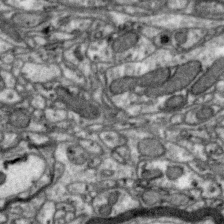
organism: Zebra finch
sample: Brain